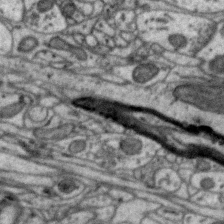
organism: Zebra finch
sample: Brain